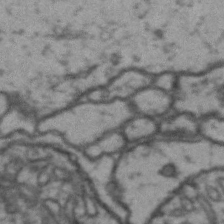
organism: Drosophila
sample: Brain